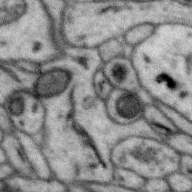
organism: Zebra finch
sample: Brain